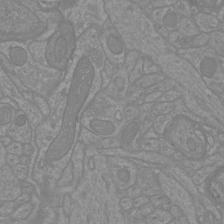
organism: Mouse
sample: Cortical neurons